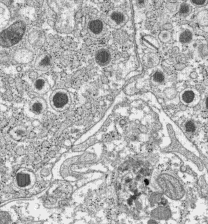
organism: C57BL Mouse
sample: Pancreatic islet